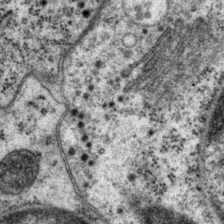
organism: P. pacificus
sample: Pharynx